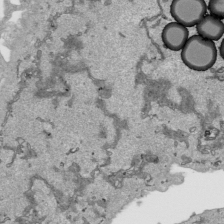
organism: Human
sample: Mitochondria in HCT116 cells